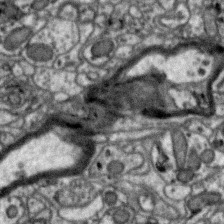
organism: Zebra finch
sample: Brain